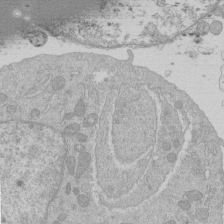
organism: Human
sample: Macrophage cells